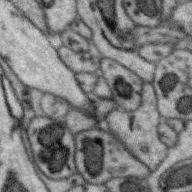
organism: Zebra finch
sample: Brain